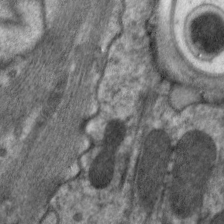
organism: C. elegans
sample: Pharynx